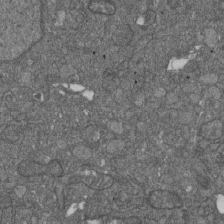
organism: Drosophila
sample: Nephrocyte